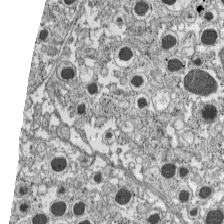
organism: C57BL Mouse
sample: Pancreatic islet